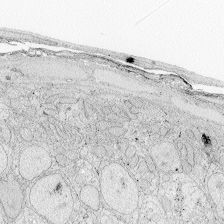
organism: Zebrafish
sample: Whole-Brain